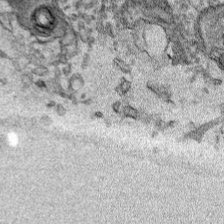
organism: Human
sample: Mitochondria in HCT116 cells